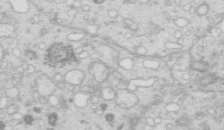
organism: Mouse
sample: Multiciliated cells